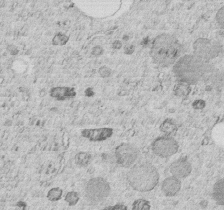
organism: C. elegans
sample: C. elegans embryo early stage